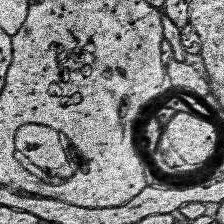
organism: Human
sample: Temporal Lobe